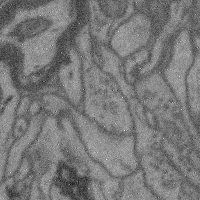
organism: Mouse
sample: Cerebral cortex